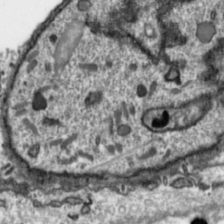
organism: Toxoplasma gondii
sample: Parasites in a vacuole inside a host cell